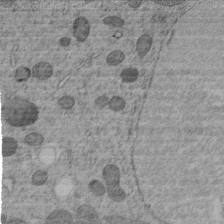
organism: C. elegans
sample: C. elegans embryo early stage